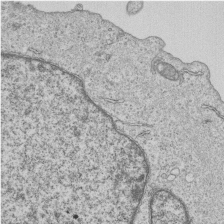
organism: Human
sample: MDA-MB-231 cells